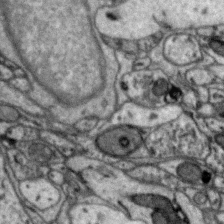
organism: Zebra finch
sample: Brain